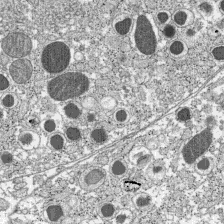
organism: C57BL Mouse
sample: Pancreatic islet